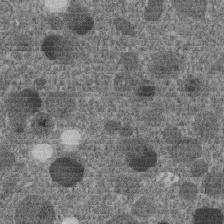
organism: C. elegans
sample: C. elegans embryo early stage